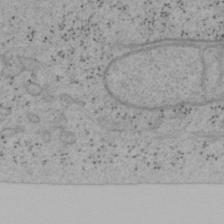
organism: Human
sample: HeLa cells